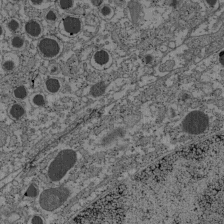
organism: C57BL Mouse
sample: Pancreatic islet